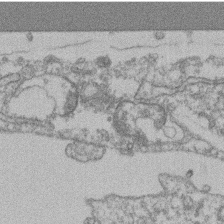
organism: Mouse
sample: T cell stromal cell synapse